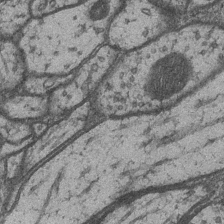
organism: Drosophila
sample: Optic medulla